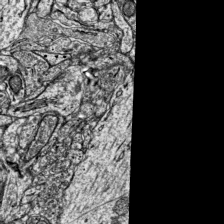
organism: Mouse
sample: Visual Cortex